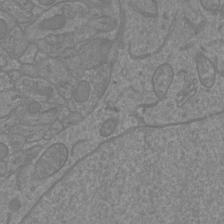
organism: Mouse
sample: Cortical neurons